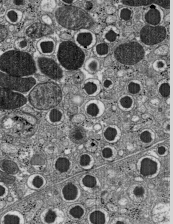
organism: C57BL Mouse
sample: Pancreatic islet